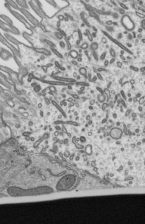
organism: Mouse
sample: Mouse epididymis efferent ductule cilia